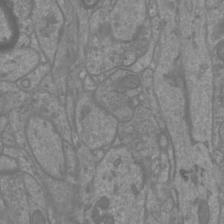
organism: Mouse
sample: Cortical neurons